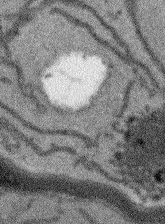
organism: Arabidopsis thaliana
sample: Root tip